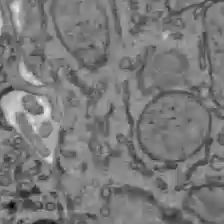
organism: C57BL Mouse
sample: Liver